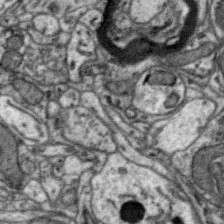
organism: Zebra finch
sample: Brain